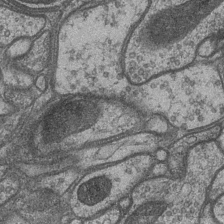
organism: Drosophila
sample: Optic medulla